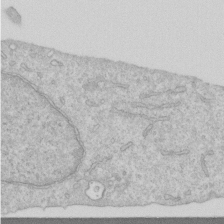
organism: Human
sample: Centriole in RPE cells